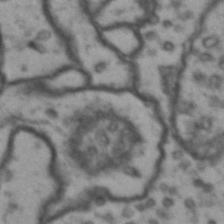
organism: Drosophila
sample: Brain